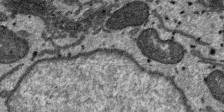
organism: Human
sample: Lung epithelial cells, uninfected (mock) control